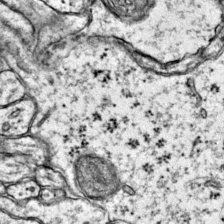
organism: Mouse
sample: Primary visual cortex